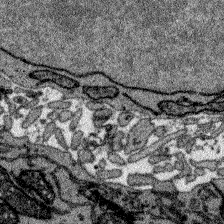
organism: Zebrafish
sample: Larval olfactory bulb